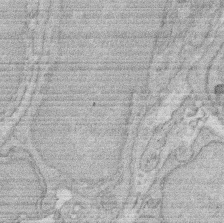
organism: Rat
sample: Salivary granule